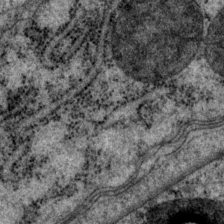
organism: P. pacificus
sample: Pharynx